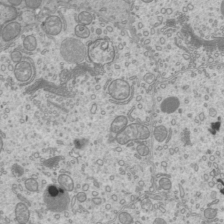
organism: Mouse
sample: Cilia; mouse epididymis